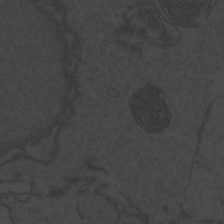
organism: Zebrafish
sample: Macrophage infected with Toxoplasma gondii